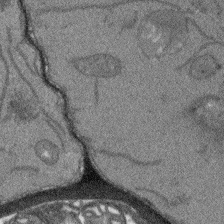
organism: Arabidopsis thaliana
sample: Root tip